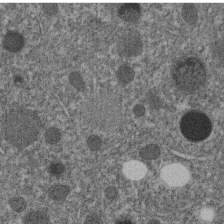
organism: C. elegans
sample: C. elegans embryo early stage